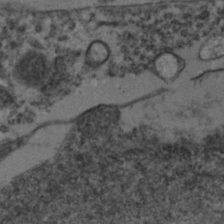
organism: Zebrafish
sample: Zebrafish embryo